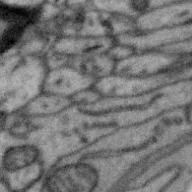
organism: Zebra finch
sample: Brain